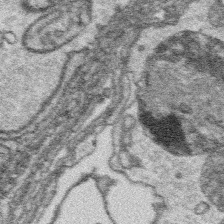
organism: Platynereis dumerilii